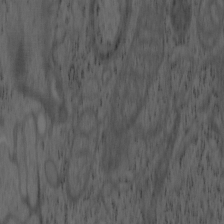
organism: Human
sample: HeLa cells